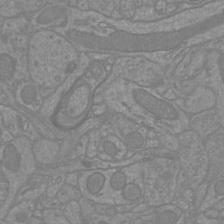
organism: Mouse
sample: Cortical neurons